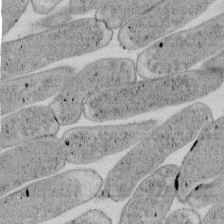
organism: E. coli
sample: Bacterial nucleoid